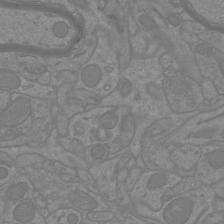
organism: Mouse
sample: Cortical neurons